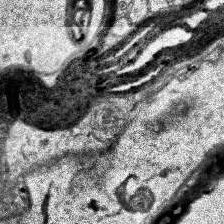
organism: Human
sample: Temporal Lobe